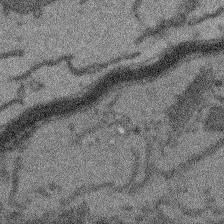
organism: Arabidopsis thaliana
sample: Root tip